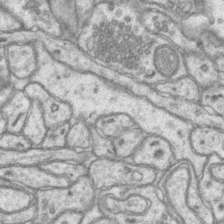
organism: Mouse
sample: CA1 Hippocampus